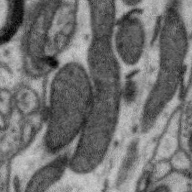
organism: Zebra finch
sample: Brain